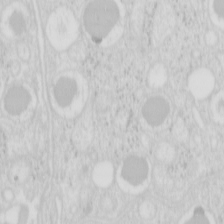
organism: Mouse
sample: Pancreas